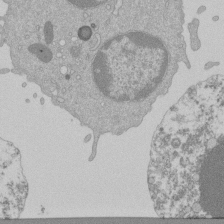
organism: Mouse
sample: Activated Pmel transgenic CD8+ T Cells